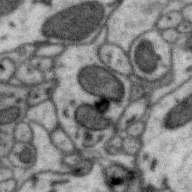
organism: Zebra finch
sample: Brain